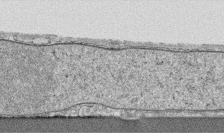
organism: Human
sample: CRL-1474